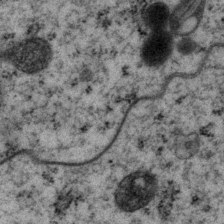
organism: P. pacificus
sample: Pharynx